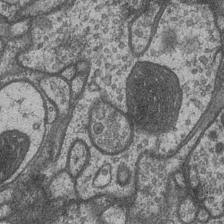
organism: Drosophila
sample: Optic medulla